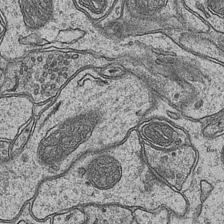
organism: Mouse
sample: CA1 Hippocampus